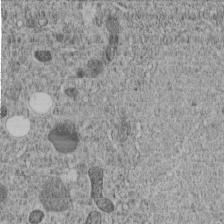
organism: C. elegans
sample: C. elegans embryo early stage